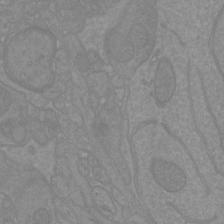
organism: Mouse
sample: Cortical neurons